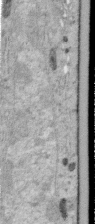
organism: Human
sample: Centriole in RPE cells